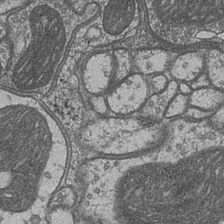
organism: Drosophila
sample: Optic medulla